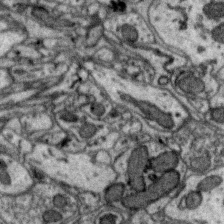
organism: Zebra finch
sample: Brain